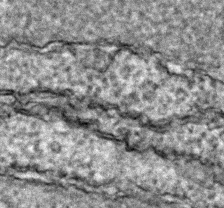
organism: Zebrafish